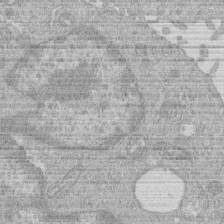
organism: Human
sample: Macrophage cells